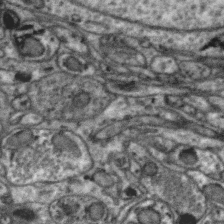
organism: Zebra finch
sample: Brain